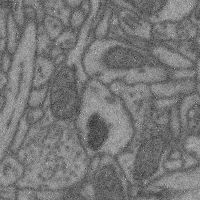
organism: Mouse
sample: Cerebral cortex